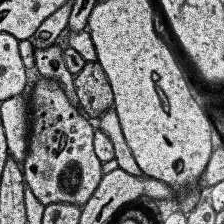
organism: Human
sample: Temporal Lobe